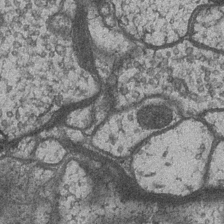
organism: Drosophila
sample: Optic medulla